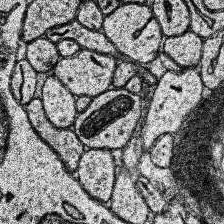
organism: Human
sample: Temporal Lobe